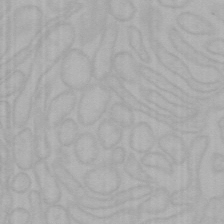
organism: Mouse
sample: Choroid plexus